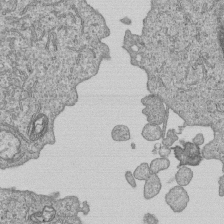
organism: Human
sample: MDA-MB-231 cells